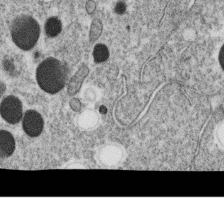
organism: C. elegans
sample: C. elegans oocyte; sperm cells